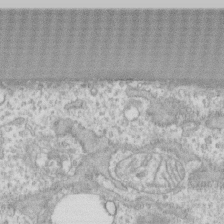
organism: Human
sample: CRL-1474